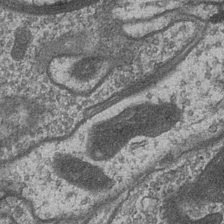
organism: Drosophila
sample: Optic medulla